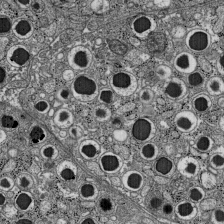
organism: C57BL Mouse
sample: Pancreatic islet